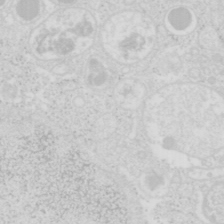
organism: Mouse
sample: Pancreas